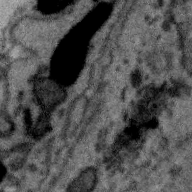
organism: Zebra finch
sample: Brain